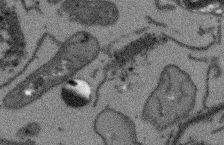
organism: Arabidopsis thaliana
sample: Root tip